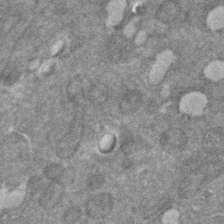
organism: C. elegans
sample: C. elegans embryo